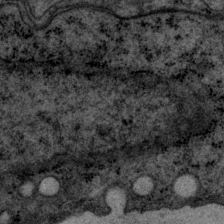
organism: P. pacificus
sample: Pharynx